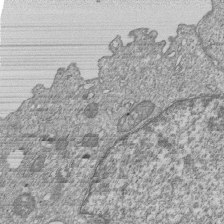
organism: Human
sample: MDA-MB-231 cells